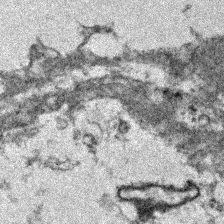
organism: Zebrafish